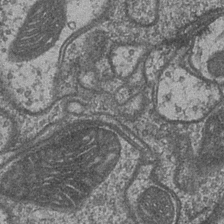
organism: Drosophila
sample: Optic medulla